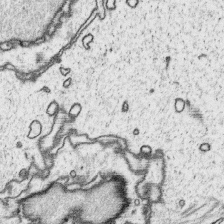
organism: Platynereis dumerilii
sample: Parapodia